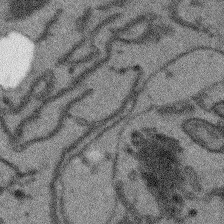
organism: Arabidopsis thaliana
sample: Root tip